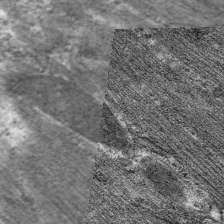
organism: C. elegans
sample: Pharynx